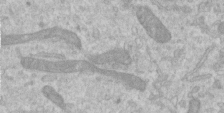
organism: Human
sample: Centriole in RPE cells